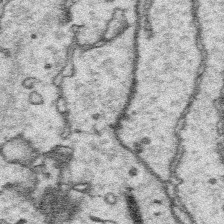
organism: Platynereis dumerilii